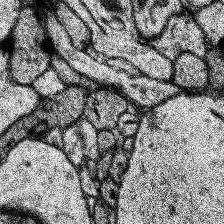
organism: Human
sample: Temporal Lobe